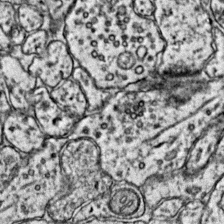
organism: Mouse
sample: Primary visual cortex